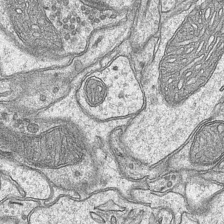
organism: Mouse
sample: CA1 Hippocampus